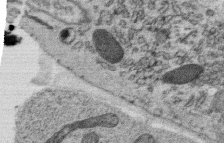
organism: C. elegans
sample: C. elegans oocyte; sperm cells